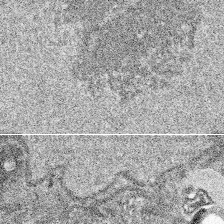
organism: Spongilla lacustris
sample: Multiple